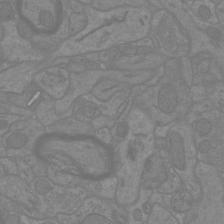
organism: Mouse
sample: Cortical neurons